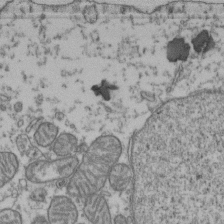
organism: Human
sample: Activated Jurkat CD4+ T cells